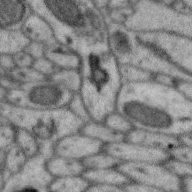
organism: Zebra finch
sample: Brain